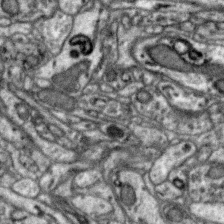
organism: Zebra finch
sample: Brain